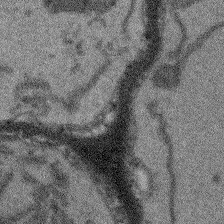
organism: Arabidopsis thaliana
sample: Root tip